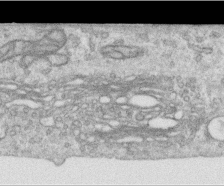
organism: Human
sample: Centriole in RPE cells